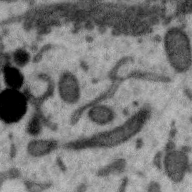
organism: Zebra finch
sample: Brain